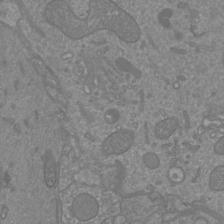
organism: Mouse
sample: Cortical neurons